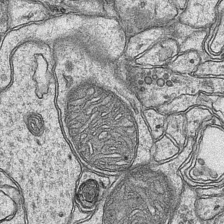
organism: Mouse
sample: CA1 Hippocampus